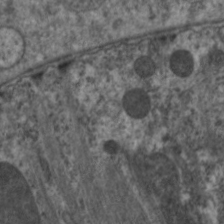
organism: C. elegans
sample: Pharynx